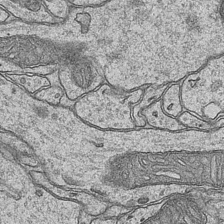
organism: Mouse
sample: CA1 Hippocampus